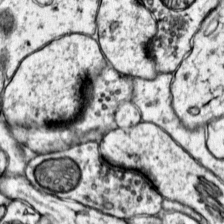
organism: Mouse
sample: Primary visual cortex